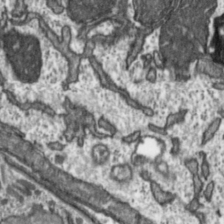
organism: Toxoplasma gondii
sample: Parasites in a vacuole inside a host cell